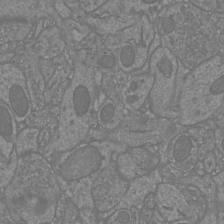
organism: Mouse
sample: Cortical neurons